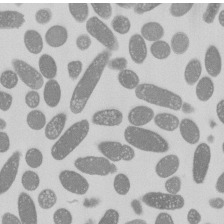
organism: E. coli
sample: Bacterial nucleoid